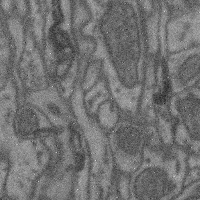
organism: Mouse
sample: Cerebral cortex